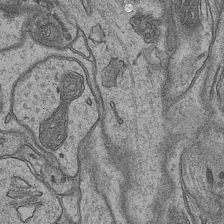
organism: Mouse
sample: CA1 Hippocampus